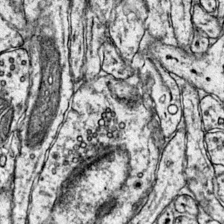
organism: Mouse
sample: Primary visual cortex